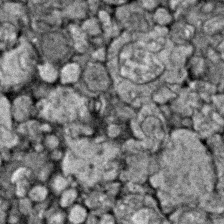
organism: Zebrafish